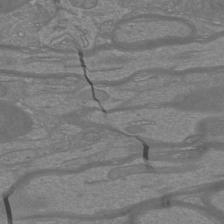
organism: Mouse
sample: Cortical neurons